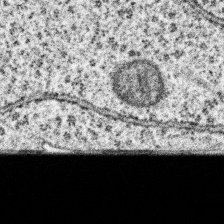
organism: Human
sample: HeLa cells